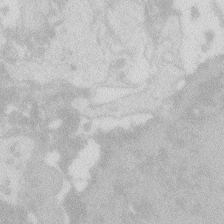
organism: Zebrafish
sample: Macrophage